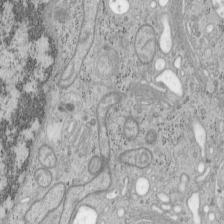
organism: Mouse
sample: OT-I killer T cells with ID8 ovarian cancer cells